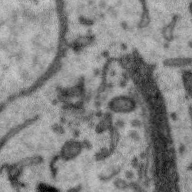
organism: Zebra finch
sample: Brain